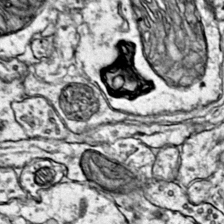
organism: Mouse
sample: Primary visual cortex